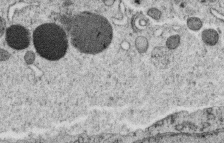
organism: C. elegans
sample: C. elegans oocyte; sperm cells